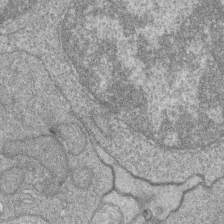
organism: Zebrafish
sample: Cilia; retinal pigment epithelium